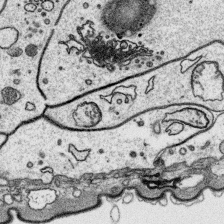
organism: Platynereis dumerilii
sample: Parapodia